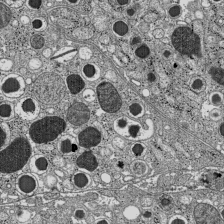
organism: C57BL Mouse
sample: Pancreatic islet